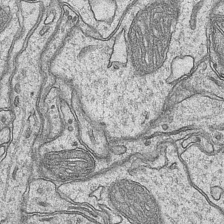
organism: Mouse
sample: CA1 Hippocampus